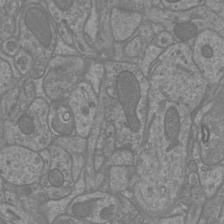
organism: Mouse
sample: Cortical neurons